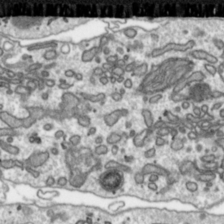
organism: Toxoplasma gondii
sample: Parasites in a vacuole inside a host cell